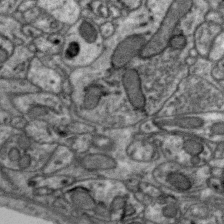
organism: Zebra finch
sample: Brain